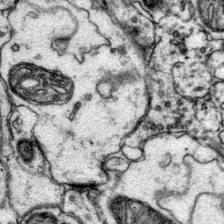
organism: Mouse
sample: Primary visual cortex